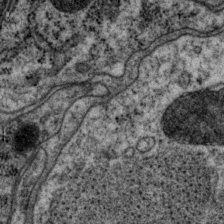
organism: P. pacificus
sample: Pharynx